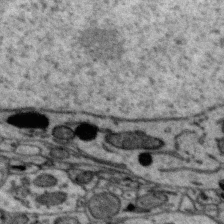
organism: Zebra finch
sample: Brain